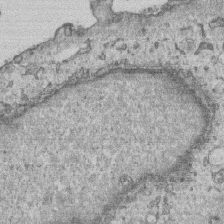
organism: Human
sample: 1205lu cells